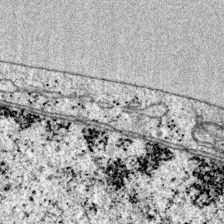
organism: Human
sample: HeLa cells